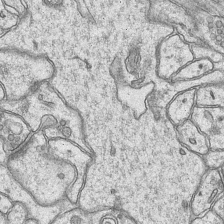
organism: Mouse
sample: CA1 Hippocampus